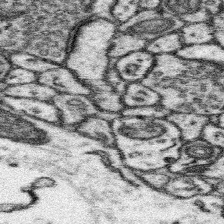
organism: Mouse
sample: Somatosensory cortex neuropil